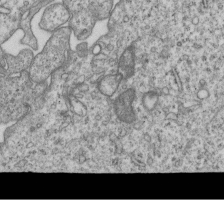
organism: Human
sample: MDA-MB-231 cells